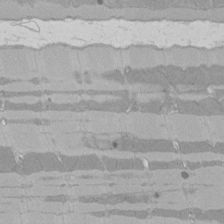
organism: Rat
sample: Left ventricle